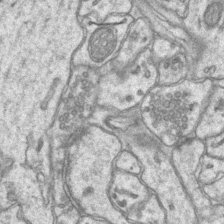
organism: Mouse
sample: CA1 Hippocampus